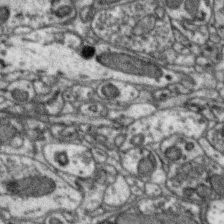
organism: Zebra finch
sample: Brain